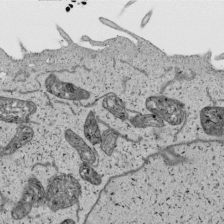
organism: Human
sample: Mitochondria in HCT116 cells